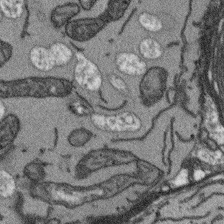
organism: Arabidopsis thaliana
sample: Root tip